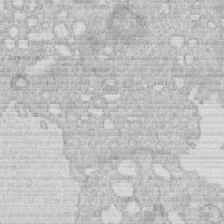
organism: Human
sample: Macrophage cells